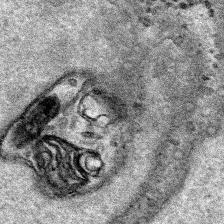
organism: Human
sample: Mitochondria in HCT116 cells